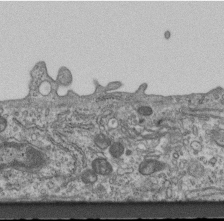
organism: Mouse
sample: Centriole in ependymal cells